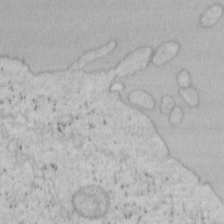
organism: Human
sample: HeLa cells